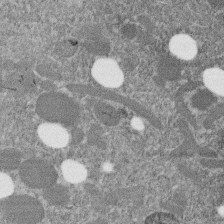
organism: C. elegans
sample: C. elegans embryo early stage